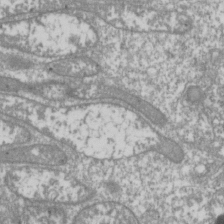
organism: Drosophila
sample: Cell division; meiosis; drosophila spermatocytes